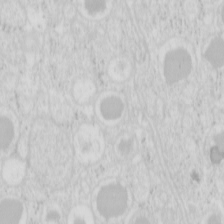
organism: Mouse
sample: Pancreas